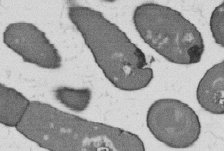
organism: B. subtilis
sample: Bacterial spore